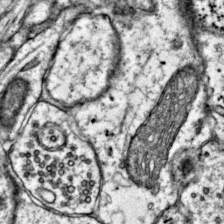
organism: Mouse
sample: Primary visual cortex